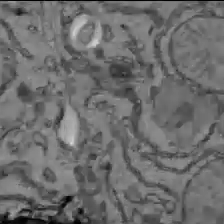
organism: C57BL Mouse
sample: Liver